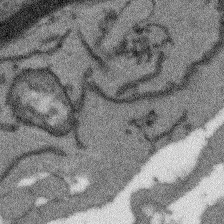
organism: Arabidopsis thaliana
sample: Root tip